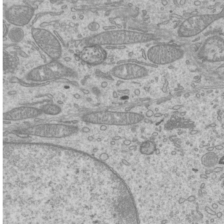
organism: Mouse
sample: Cilia; mouse epididymis